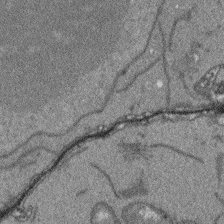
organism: Arabidopsis thaliana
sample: Root tip